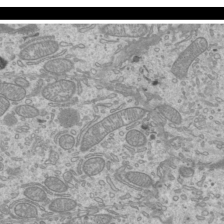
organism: Mouse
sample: Cilia; mouse epididymis